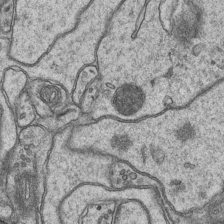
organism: Mouse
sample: CA1 Hippocampus